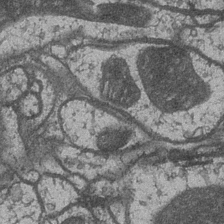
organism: Drosophila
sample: Optic medulla